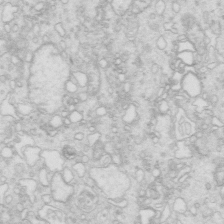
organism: Mouse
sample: Multiciliated cells